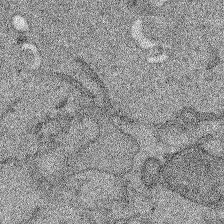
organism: Human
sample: HeLa cells